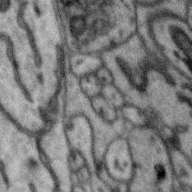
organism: Zebra finch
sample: Brain